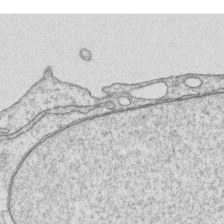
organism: Human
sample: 1205lu cells